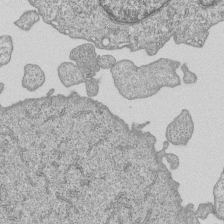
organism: Human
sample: MDA-MB-231 cells